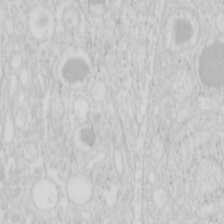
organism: Mouse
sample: Pancreas